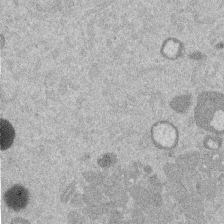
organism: Mouse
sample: Dividing mouse embryo 1 cell stage